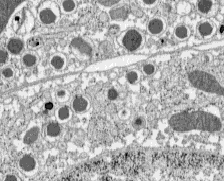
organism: C57BL Mouse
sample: Pancreatic islet